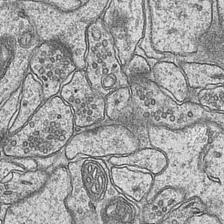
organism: Mouse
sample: CA1 Hippocampus